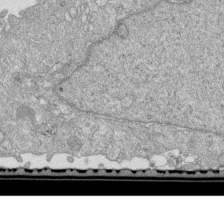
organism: Human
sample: HeLa cell HIV synapse